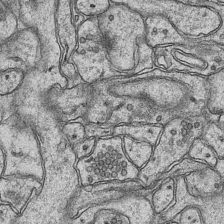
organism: Mouse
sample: CA1 Hippocampus